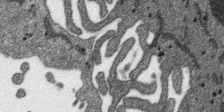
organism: Human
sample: Lung epithelial cells infected with SARS-CoV-2